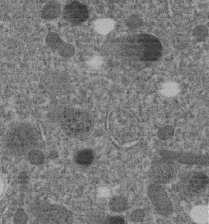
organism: C. elegans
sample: C. elegans embryo early stage